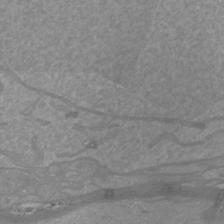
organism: Mouse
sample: Cortical neurons